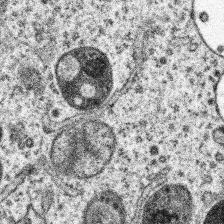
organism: Human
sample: HeLa cells